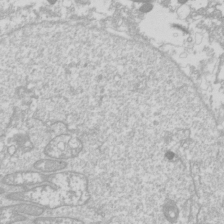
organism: Drosophila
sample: Cell division; meiosis; drosophila spermatocytes